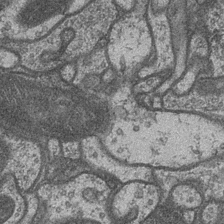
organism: Drosophila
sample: Optic medulla